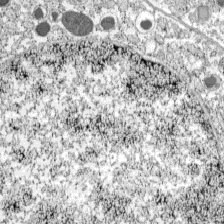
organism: C57BL Mouse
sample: Pancreatic islet